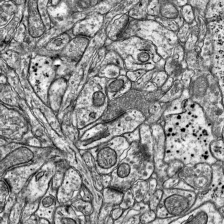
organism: Mouse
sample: Visual Cortex